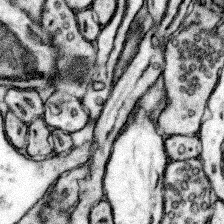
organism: Mouse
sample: Somatosensory cortex neuropil